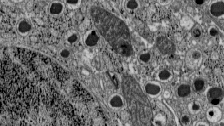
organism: C57BL Mouse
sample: Pancreatic islet